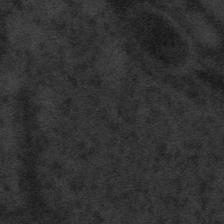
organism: Tuwongella immobilis